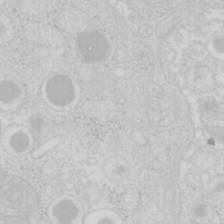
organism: Mouse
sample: Pancreas